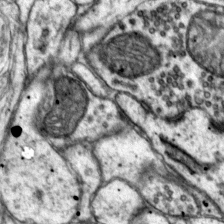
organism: Mouse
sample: Primary visual cortex